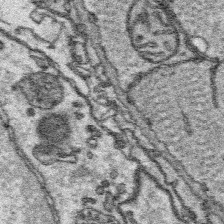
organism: Platynereis dumerilii